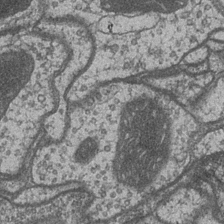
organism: Drosophila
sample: Optic medulla